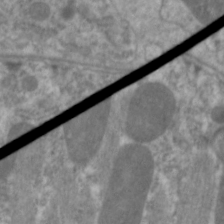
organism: C. elegans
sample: Pharynx